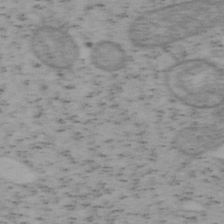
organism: Mouse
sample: OT-I killer T cells with ID8 ovarian cancer cells